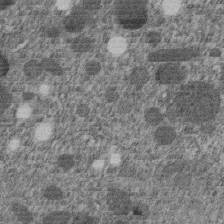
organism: C. elegans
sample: C. elegans embryo early stage